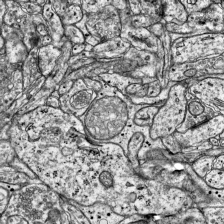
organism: Mouse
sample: Visual Cortex